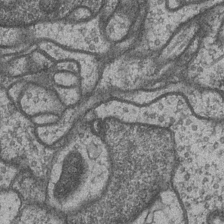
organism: Drosophila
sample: Optic medulla